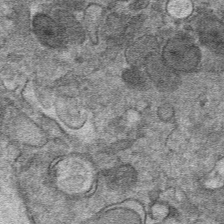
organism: Mouse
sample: Mouse hepatocytes